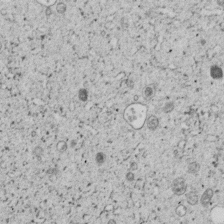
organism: C. elegans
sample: C. elegans embryo early stage